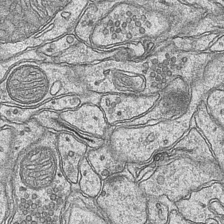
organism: Mouse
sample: CA1 Hippocampus